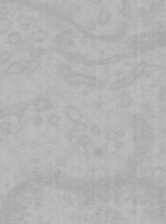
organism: Mouse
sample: Choroid plexus